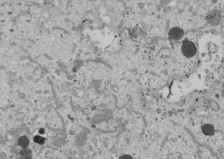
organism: Human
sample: Mitochondria in U2OS cells